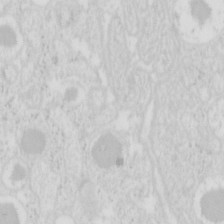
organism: Mouse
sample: Pancreas